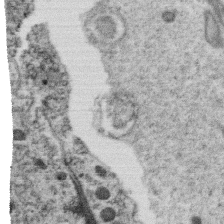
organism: C. elegans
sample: C. elegans oocyte; sperm cells